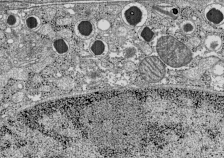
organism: C57BL Mouse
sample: Pancreatic islet